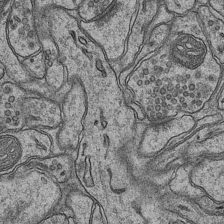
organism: Mouse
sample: CA1 Hippocampus